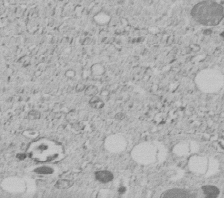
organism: C. elegans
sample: C. elegans embryo early stage